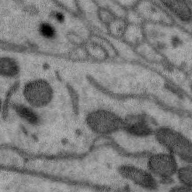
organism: Zebra finch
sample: Brain